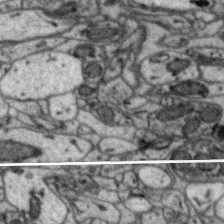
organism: Zebra finch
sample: Brain